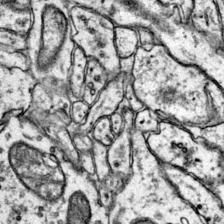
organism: Mouse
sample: Primary visual cortex